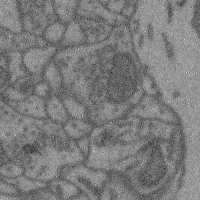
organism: Mouse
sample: Cerebral cortex